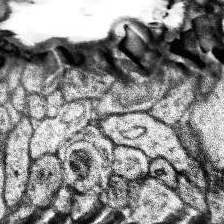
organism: Human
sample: Temporal Lobe